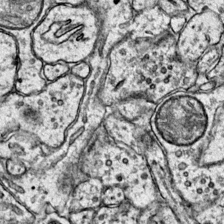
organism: Mouse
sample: Primary visual cortex